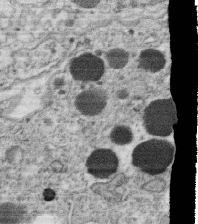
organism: C. elegans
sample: C. elegans oocyte; sperm cells